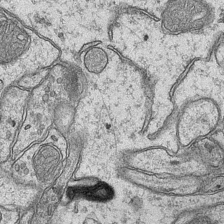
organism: Mouse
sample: CA1 Hippocampus